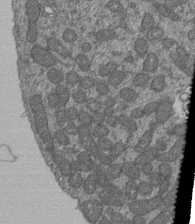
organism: Human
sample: Retinal organoid Rod and Cone cells